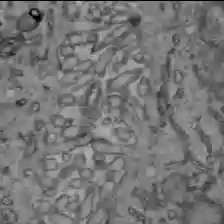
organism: C57BL Mouse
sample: Liver